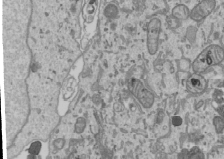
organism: Human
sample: Mitochondria in U2OS cells